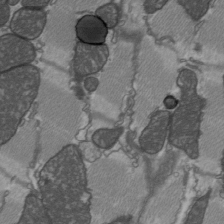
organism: C57BL Mouse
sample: Heart